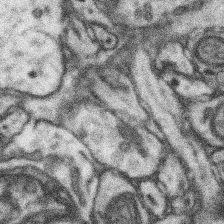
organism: Mouse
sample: Somatosensory cortex neuropil